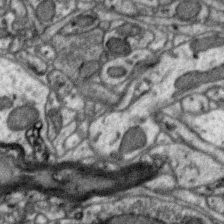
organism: Zebra finch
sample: Brain